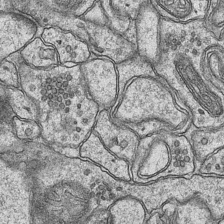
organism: Mouse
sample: CA1 Hippocampus